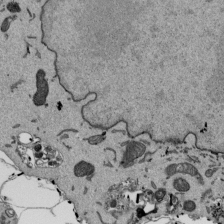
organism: Mouse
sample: ED-1 cell nuclei; centrioles